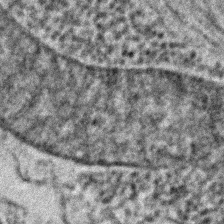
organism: C. elegans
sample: C. elegans embryo